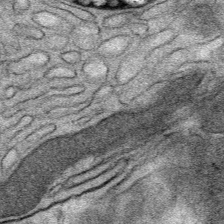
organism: Mouse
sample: Mouse Salivary gland